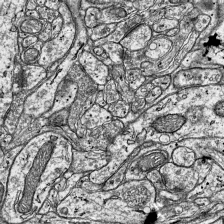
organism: Mouse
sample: Visual Cortex